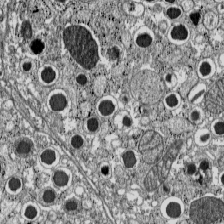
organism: C57BL Mouse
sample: Pancreatic islet